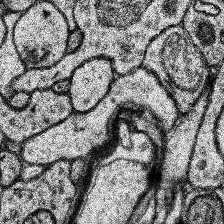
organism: Human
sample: Temporal Lobe